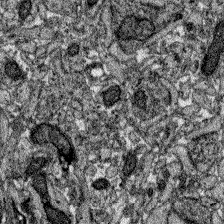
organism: Zebrafish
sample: Larval olfactory bulb